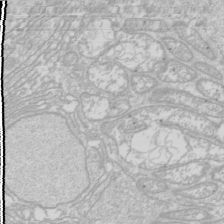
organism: Drosophila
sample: Cell division; meiosis; drosophila spermatocytes